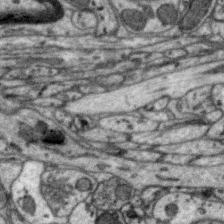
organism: Zebra finch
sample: Brain